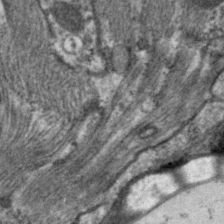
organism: C. elegans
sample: Pharynx